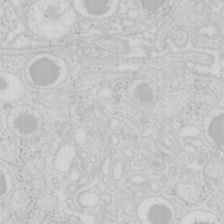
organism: Mouse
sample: Pancreas